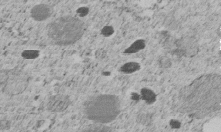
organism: C. elegans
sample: C. elegans embryo early stage